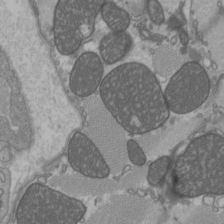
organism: C57BL Mouse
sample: Heart